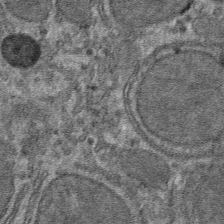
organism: Mouse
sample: Mouse hepatocytes